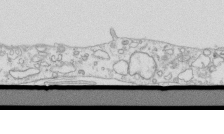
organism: Mouse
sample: Macrophages